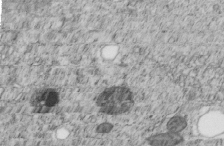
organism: C. elegans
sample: C. elegans embryo early stage